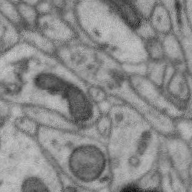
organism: Zebra finch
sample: Brain